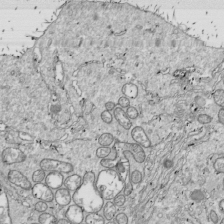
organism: Drosophila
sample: Cell division; meiosis; drosophila spermatocytes